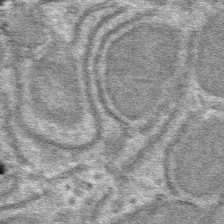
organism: Mouse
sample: Mouse hepatocytes